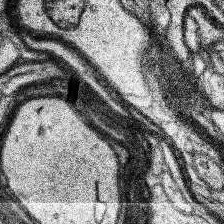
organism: Human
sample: Temporal Lobe